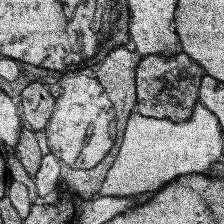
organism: Human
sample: Temporal Lobe